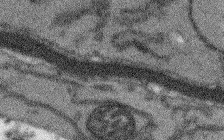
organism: Arabidopsis thaliana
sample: Root tip